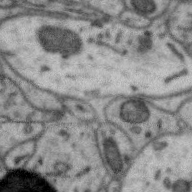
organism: Zebra finch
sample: Brain